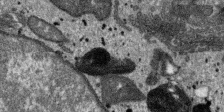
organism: Human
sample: Lung epithelial cells, uninfected (mock) control